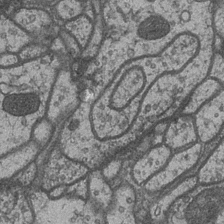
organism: Drosophila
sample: Optic medulla